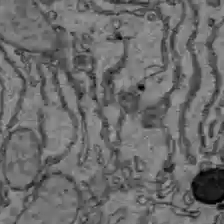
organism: C57BL Mouse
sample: Liver